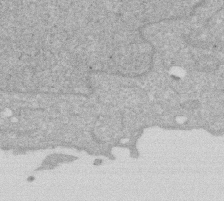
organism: Human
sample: HIV infected U937 cells